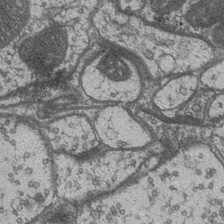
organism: Drosophila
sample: Optic medulla